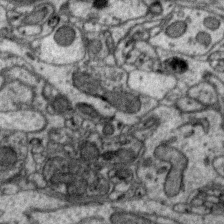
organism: Zebra finch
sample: Brain